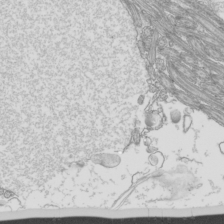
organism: Mouse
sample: Cilia; mouse epididymis